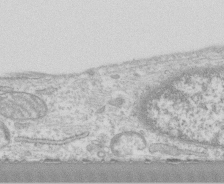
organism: Human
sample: CRL-1474